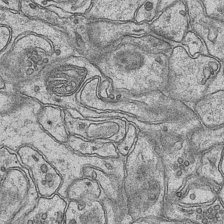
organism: Mouse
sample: CA1 Hippocampus